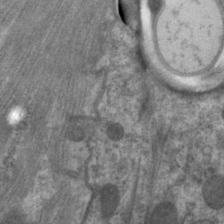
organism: C. elegans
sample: Pharynx